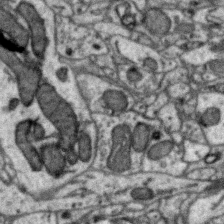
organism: Zebra finch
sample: Brain